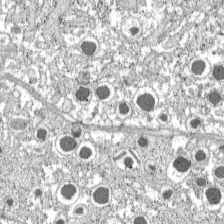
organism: C57BL Mouse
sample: Pancreatic islet